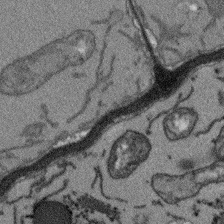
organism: Arabidopsis thaliana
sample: Root tip